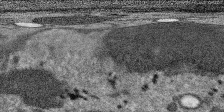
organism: Human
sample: Lung epithelial cells infected with SARS-CoV-2